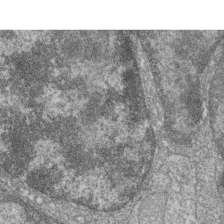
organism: Zebrafish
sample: Cilia; retinal pigment epithelium